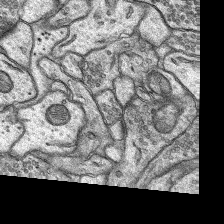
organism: Rat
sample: Hippocampus